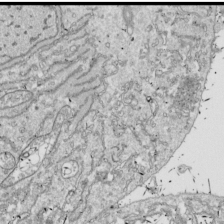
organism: Drosophila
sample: Cell division; meiosis; drosophila spermatocytes